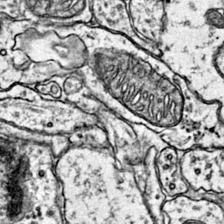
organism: Mouse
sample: Primary visual cortex